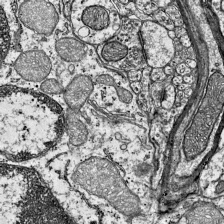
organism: Mouse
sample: Visual Cortex